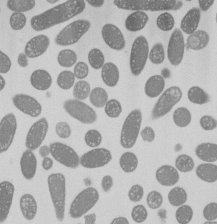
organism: E. coli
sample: Bacterial nucleoid